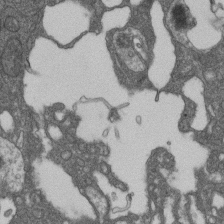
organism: Drosophila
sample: Nephrocyte